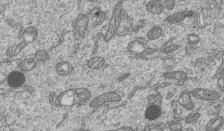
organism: Human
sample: MDA-MB-231 cells